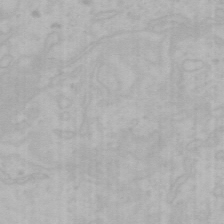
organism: Mouse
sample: Choroid plexus